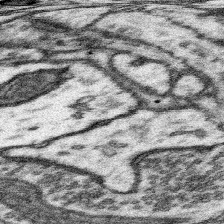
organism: Mouse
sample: Somatosensory cortex neuropil